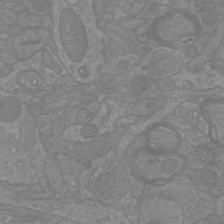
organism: Mouse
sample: Cortical neurons